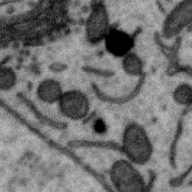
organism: Zebra finch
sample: Brain